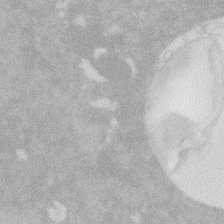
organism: Zebrafish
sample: Macrophage